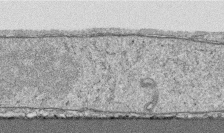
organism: Human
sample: CRL-1474